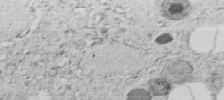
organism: C. elegans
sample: C. elegans embryo early stage